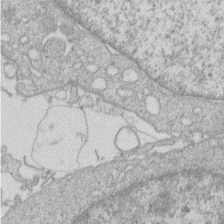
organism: Human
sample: Macrophage cells